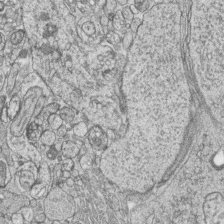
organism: Zebrafish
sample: synaptic ribbons in rod cells and cone cells